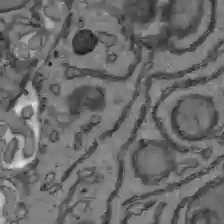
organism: C57BL Mouse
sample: Liver